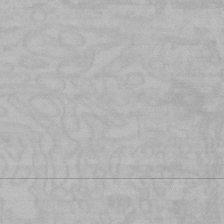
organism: Mouse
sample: Choroid plexus